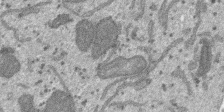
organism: Human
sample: Lung epithelial cells infected with SARS-CoV-2